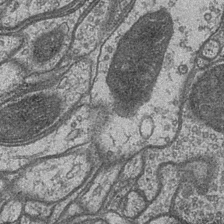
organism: Drosophila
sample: Optic medulla